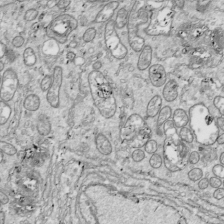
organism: Drosophila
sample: Cell division; meiosis; drosophila spermatocytes